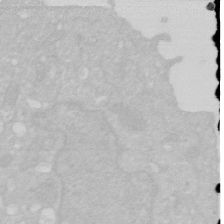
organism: Human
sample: HIV infected U937 cells